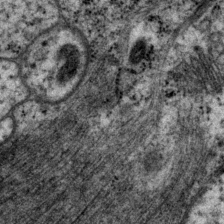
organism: P. pacificus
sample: Pharynx